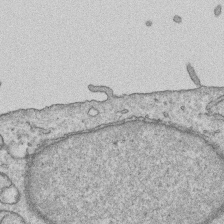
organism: Human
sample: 1205lu cells